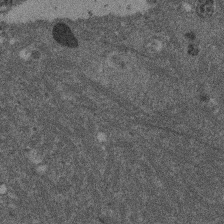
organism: Mouse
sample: Dividing mouse embryo 1 cell stage